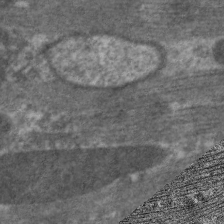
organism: C. elegans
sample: Pharynx